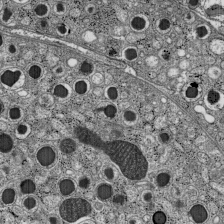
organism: C57BL Mouse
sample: Pancreatic islet